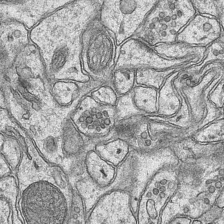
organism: Mouse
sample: CA1 Hippocampus